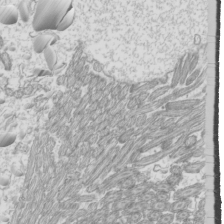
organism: Mouse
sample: Cilia; mouse epididymis